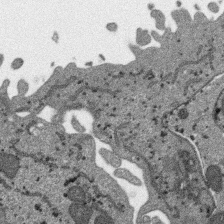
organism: Human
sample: Lung epithelial cells infected with SARS-CoV-2